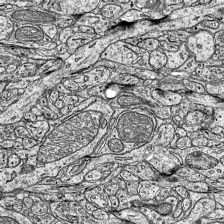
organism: Mouse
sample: Visual Cortex